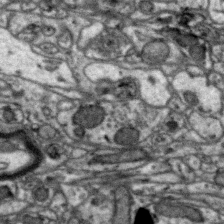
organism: Zebra finch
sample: Brain